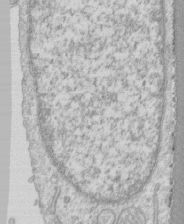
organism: Human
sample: CRL-1474